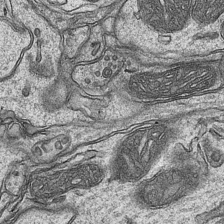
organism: Mouse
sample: CA1 Hippocampus